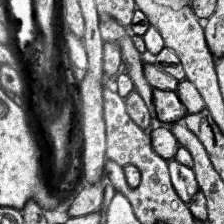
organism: Human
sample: Temporal Lobe